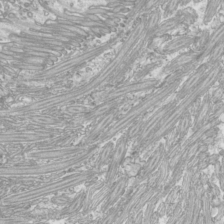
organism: Mouse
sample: Cilia; mouse epididymis